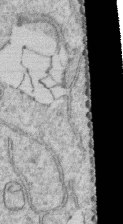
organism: Human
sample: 1205lu cells